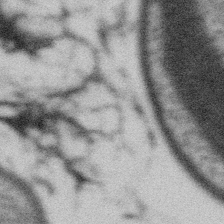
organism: Gemmata obscuriglobus